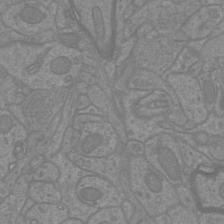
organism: Mouse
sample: Cortical neurons